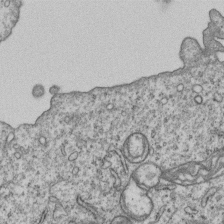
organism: Human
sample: MDA-MB-231 cells